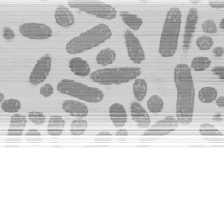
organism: E. coli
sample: Bacterial nucleoid